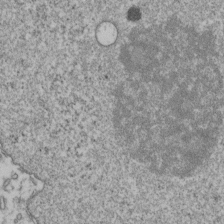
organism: Human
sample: Activated Jurkat CD4+ T cells